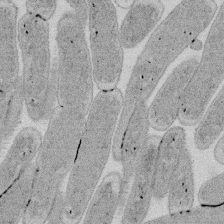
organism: E. coli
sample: Bacterial nucleoid